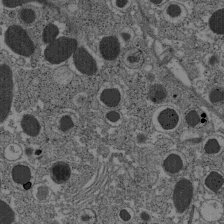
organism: C57BL Mouse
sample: Pancreatic islet